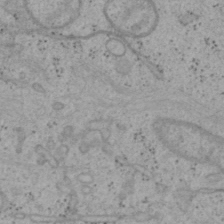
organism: Human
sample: HeLa cells